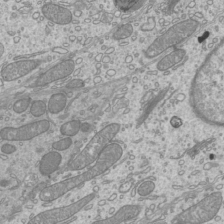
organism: Mouse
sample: Cilia; mouse epididymis